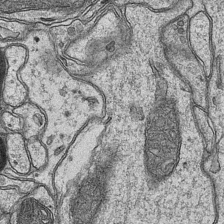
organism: Mouse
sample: CA1 Hippocampus